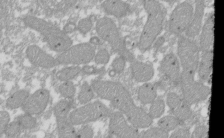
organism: Xenopus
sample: Cilia; centrioles in frog embryo cells